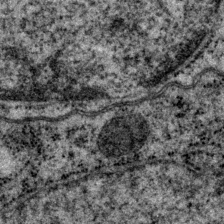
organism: P. pacificus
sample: Pharynx